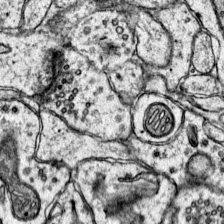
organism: Mouse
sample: Primary visual cortex